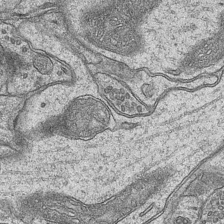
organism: Mouse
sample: CA1 Hippocampus